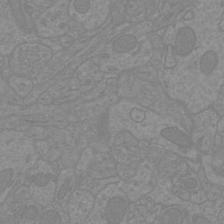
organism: Mouse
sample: Cortical neurons